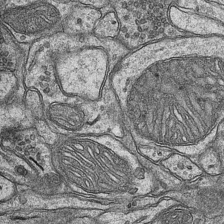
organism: Mouse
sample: CA1 Hippocampus